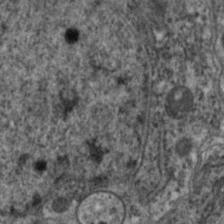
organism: C. elegans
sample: Pharynx